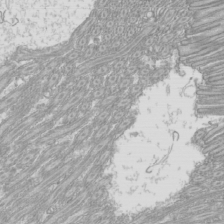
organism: Mouse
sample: Cilia; mouse epididymis